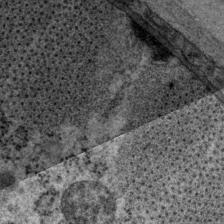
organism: P. pacificus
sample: Pharynx